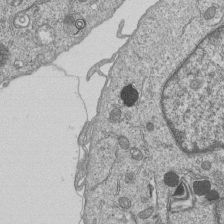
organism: Human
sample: MDA-MB-231 cells